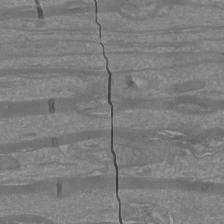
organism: Mouse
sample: Cortical neurons